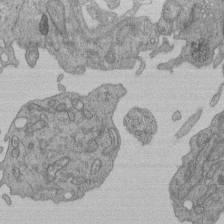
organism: Human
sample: Retinal organoid Rod and Cone cells